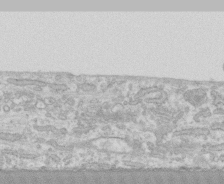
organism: Human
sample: CRL-1474